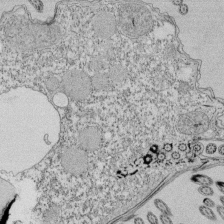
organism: Tetrahymena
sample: Cilia in tetrahymena